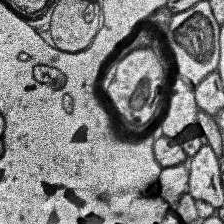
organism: Human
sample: Temporal Lobe